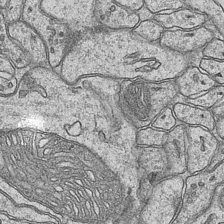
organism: Mouse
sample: CA1 Hippocampus